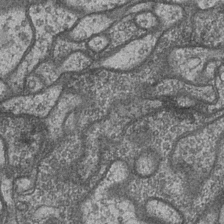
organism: Drosophila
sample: Optic medulla